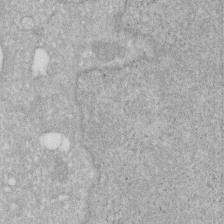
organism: Human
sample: HIV infected U937 cells